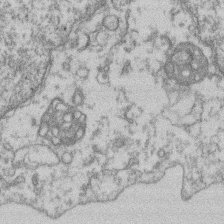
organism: Mouse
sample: T cell stromal cell synapse